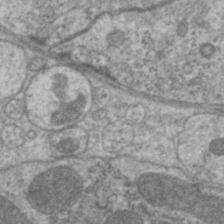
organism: C. elegans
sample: Pharynx